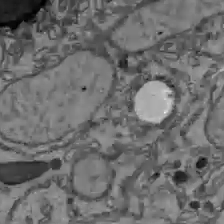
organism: C57BL Mouse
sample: Liver